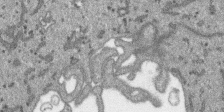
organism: Human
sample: Lung epithelial cells infected with SARS-CoV-2